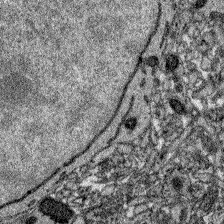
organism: Zebrafish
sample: Larval olfactory bulb